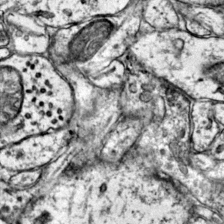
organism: Mouse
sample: Primary visual cortex